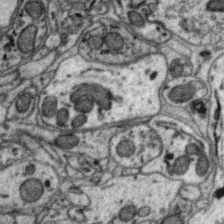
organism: Zebra finch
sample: Brain